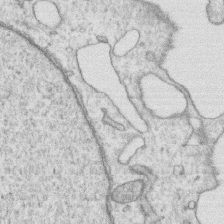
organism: Human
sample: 1205lu cells